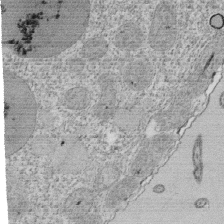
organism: Tetrahymena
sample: Cilia in tetrahymena